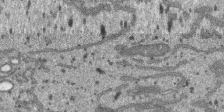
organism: Human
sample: Lung epithelial cells infected with SARS-CoV-2